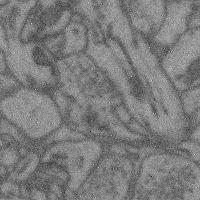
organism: Mouse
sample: Cerebral cortex